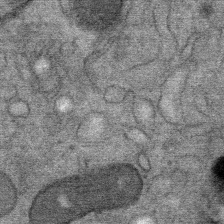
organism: Mouse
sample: Mouse Salivary gland